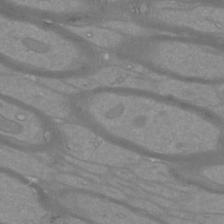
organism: Mouse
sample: Cortical neurons